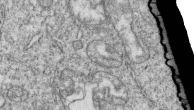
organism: Human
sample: HeLa cell HIV synapse